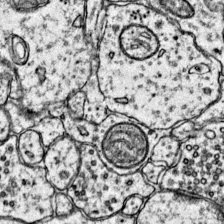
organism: Mouse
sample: Primary visual cortex